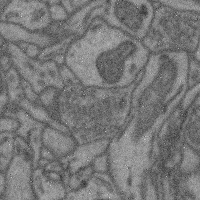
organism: Mouse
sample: Cerebral cortex